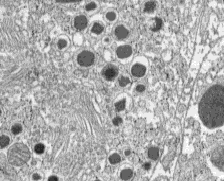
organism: C57BL Mouse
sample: Pancreatic islet